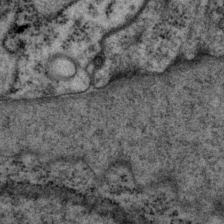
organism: P. pacificus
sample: Pharynx